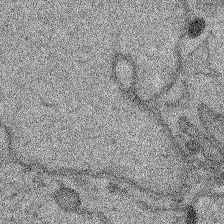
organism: Human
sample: HeLa cells